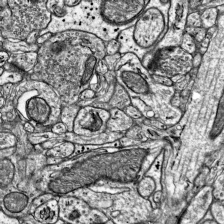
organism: Mouse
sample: Visual Cortex